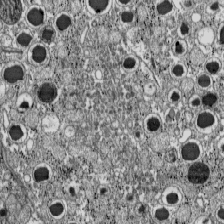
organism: C57BL Mouse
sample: Pancreatic islet